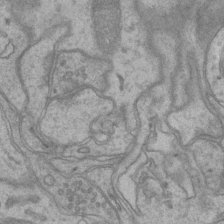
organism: Mouse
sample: CA1 Hippocampus